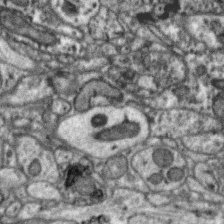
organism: Zebra finch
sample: Brain